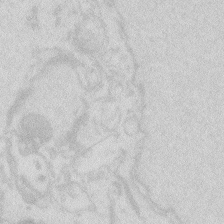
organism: Zebrafish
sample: Macrophage